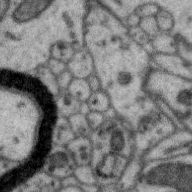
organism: Zebra finch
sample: Brain